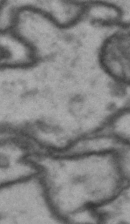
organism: Drosophila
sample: Brain